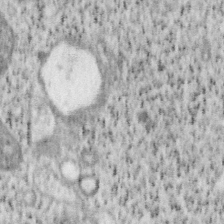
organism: Mouse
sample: OT-I killer T cells with ID8 ovarian cancer cells